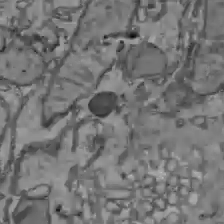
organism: C57BL Mouse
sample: Liver